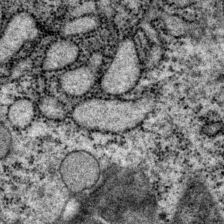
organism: P. pacificus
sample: Pharynx